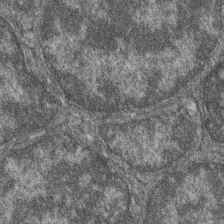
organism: Zebrafish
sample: Cilia; retinal pigment epithelium